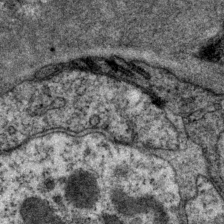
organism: P. pacificus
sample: Pharynx